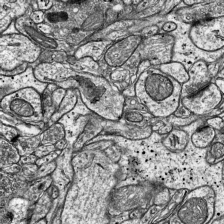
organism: Mouse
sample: Visual Cortex